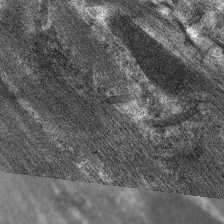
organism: C. elegans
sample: Pharynx